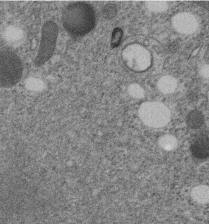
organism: C. elegans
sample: C. elegans embryo early stage